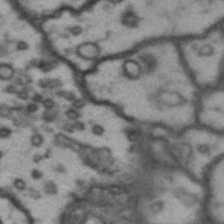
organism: Drosophila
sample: Brain